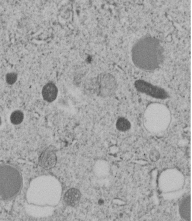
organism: C. elegans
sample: C. elegans embryo early stage